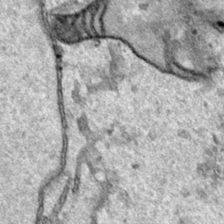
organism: Human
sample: Mitochondria in HCT116 cells